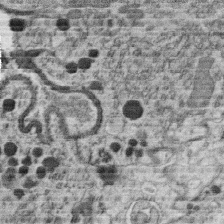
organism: C. elegans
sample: C. elegans oocyte; sperm cells